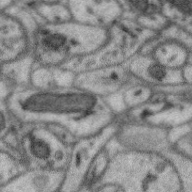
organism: Zebra finch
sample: Brain